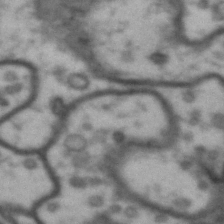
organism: Drosophila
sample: Brain